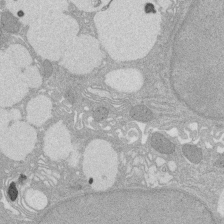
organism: Rat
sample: Salivary granule